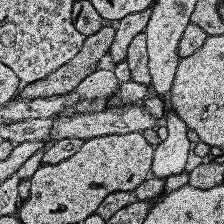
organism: Human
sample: Temporal Lobe